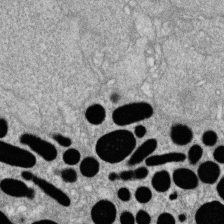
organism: Zebrafish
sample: Cilia; retinal pigment epithelium